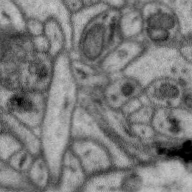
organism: Zebra finch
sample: Brain